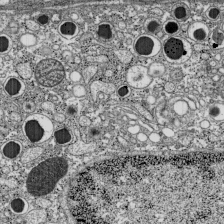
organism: C57BL Mouse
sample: Pancreatic islet